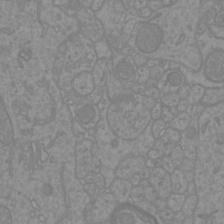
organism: Mouse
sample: Cortical neurons